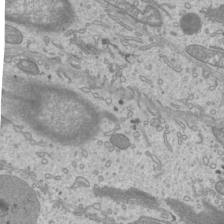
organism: Mouse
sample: Cilia; mouse epididymis